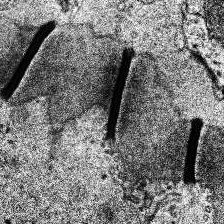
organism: Human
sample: Temporal Lobe